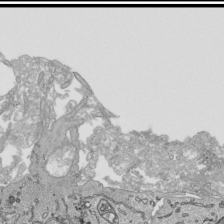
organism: Human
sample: Mitochondria in HCT116 cells